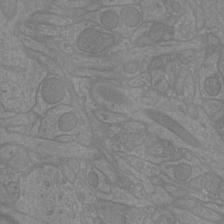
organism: Mouse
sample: Cortical neurons